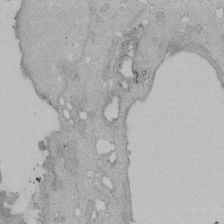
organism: Human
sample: Melanocyte Keratinocyte synapse skin construct